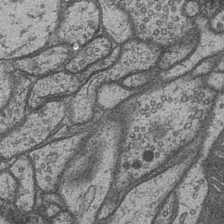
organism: Drosophila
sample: Optic medulla